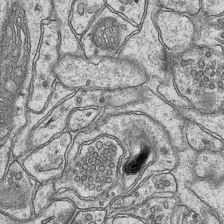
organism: Mouse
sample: CA1 Hippocampus